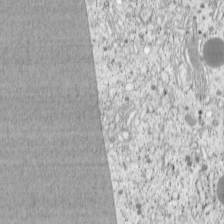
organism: African green monkey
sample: COS-7 cells